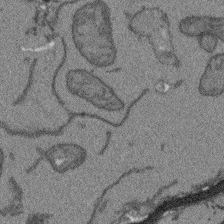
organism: Arabidopsis thaliana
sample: Root tip